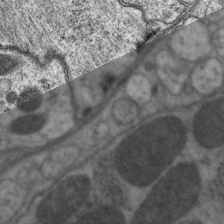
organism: C. elegans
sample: Pharynx